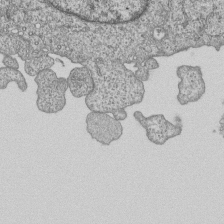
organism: Human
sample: MDA-MB-231 cells